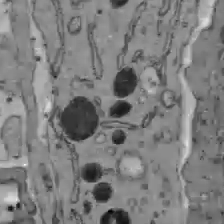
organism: C57BL Mouse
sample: Liver